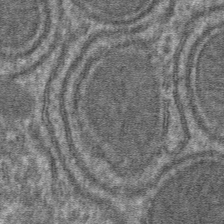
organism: Mouse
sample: Mouse hepatocytes